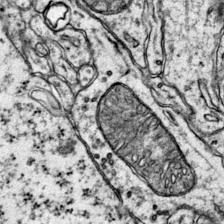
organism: Mouse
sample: Primary visual cortex